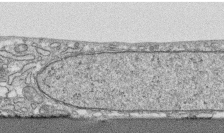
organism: Human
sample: CRL-1474